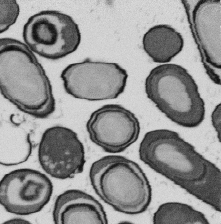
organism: B. subtilis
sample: Bacterial spore